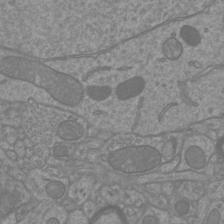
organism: Mouse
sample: Cortical neurons